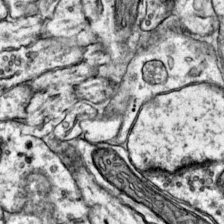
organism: Mouse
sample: Primary visual cortex